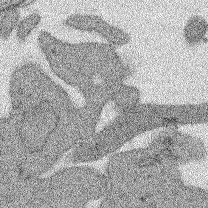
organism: Human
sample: HeLa cells